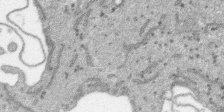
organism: Human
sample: Lung epithelial cells infected with SARS-CoV-2